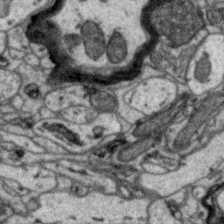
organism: Zebra finch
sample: Brain